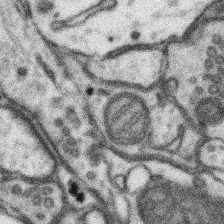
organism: Mouse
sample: Somatosensory cortex neuropil